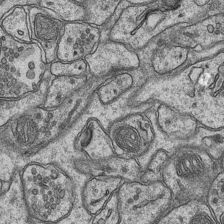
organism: Mouse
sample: CA1 Hippocampus